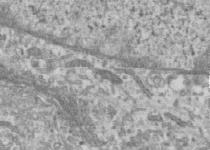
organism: Human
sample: Centriole in RPE cells